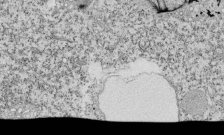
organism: Tetrahymena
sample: Cilia in tetrahymena